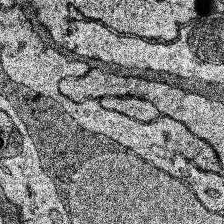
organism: Human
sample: Temporal Lobe